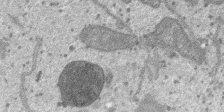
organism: Human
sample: Lung epithelial cells infected with SARS-CoV-2